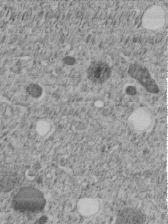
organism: C. elegans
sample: C. elegans embryo early stage